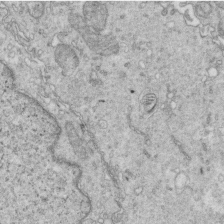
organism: Mouse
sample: Multiciliated cells